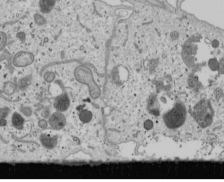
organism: Human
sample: Mitochondria in U2OS cells